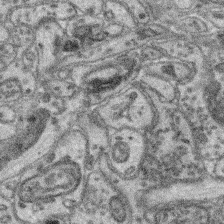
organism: Mouse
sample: Retina